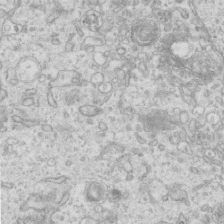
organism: Mouse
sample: Centriole in ependymal cells